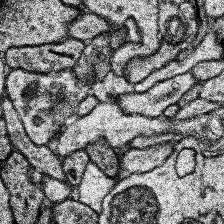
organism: Human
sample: Temporal Lobe